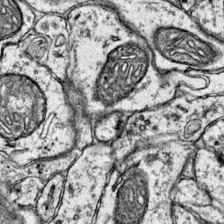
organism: Mouse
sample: Primary visual cortex